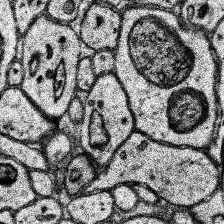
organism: Human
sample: Temporal Lobe